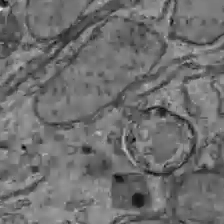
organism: C57BL Mouse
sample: Liver